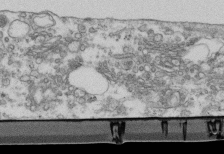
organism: Mouse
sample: Cilia; retinal pigment epithelium